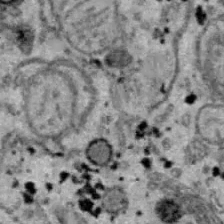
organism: Mouse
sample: Liver from an obese (ob/ob) mouse